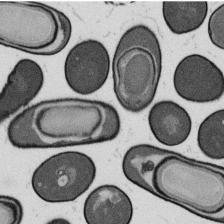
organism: B. subtilis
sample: Bacterial spore